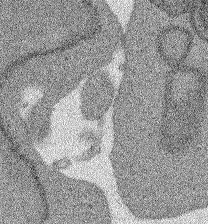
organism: Human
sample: HeLa cells